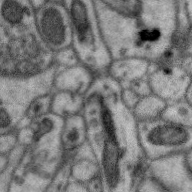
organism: Zebra finch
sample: Brain